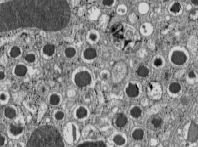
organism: C57BL Mouse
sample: Pancreatic islet